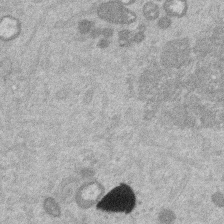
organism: Mouse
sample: Dividing mouse embryo 1 cell stage